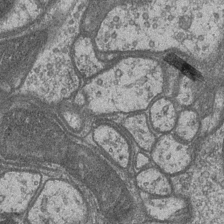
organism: Drosophila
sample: Optic medulla